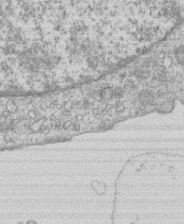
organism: Human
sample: Macrophage cells